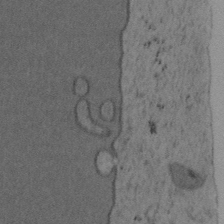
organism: Human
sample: HeLa cells